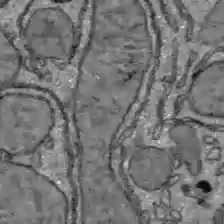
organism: C57BL Mouse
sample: Liver